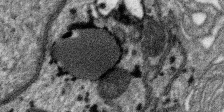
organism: Human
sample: Lung epithelial cells infected with SARS-CoV-2